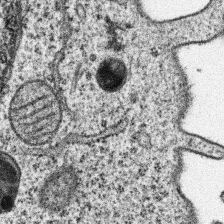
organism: Human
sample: HeLa cells